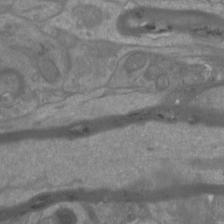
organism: Mouse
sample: Cortical neurons